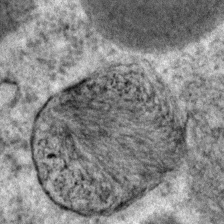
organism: C. elegans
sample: C. elegans embryo